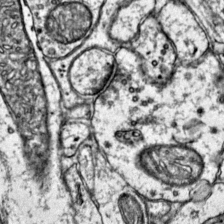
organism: Mouse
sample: Primary visual cortex